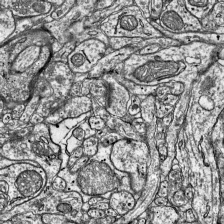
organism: Mouse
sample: Visual Cortex